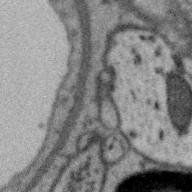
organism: Zebra finch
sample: Brain